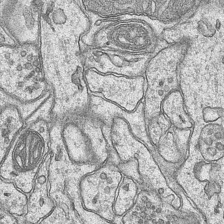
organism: Mouse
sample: CA1 Hippocampus